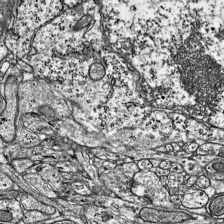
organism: Mouse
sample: Visual Cortex